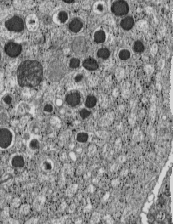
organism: C57BL Mouse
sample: Pancreatic islet